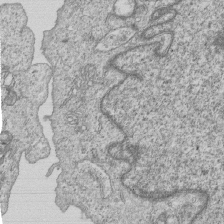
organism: Human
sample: MDA-MB-231 cells